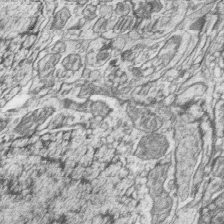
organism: Zebrafish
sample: synaptic ribbons in rod cells and cone cells